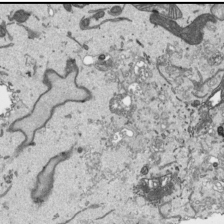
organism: Human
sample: Mitochondria in HCT116 cells